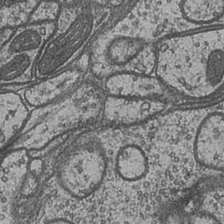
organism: Drosophila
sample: Optic medulla